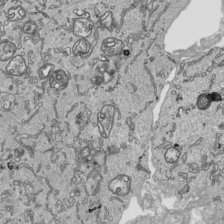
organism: Human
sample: Mitochondria in HCT116 cells